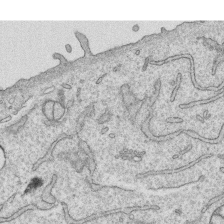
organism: Human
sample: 1205lu cells